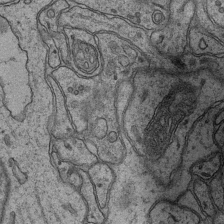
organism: Mouse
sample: CA1 Hippocampus